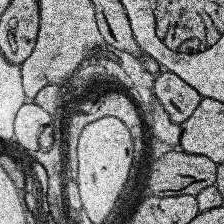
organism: Human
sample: Temporal Lobe